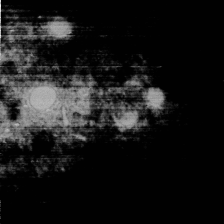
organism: C. elegans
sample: C. elegans embryo early stage